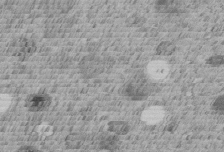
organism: C. elegans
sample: C. elegans embryo early stage